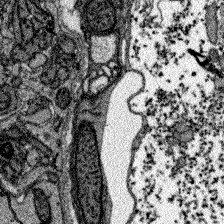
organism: Zebrafish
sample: Larval olfactory bulb